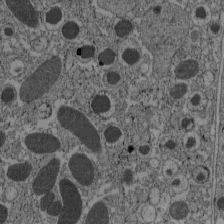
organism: C57BL Mouse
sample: Pancreatic islet